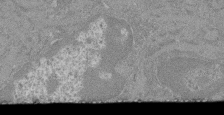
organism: Mouse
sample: Glomerulus